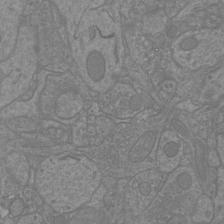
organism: Mouse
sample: Cortical neurons